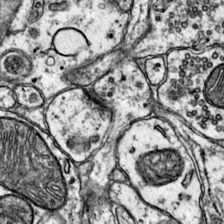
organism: Mouse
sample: Primary visual cortex